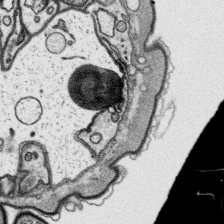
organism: Platynereis dumerilii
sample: Parapodia